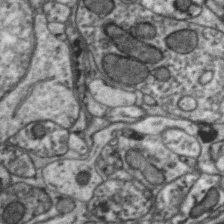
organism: Zebra finch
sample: Brain